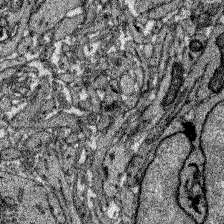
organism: Zebrafish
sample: Larval olfactory bulb